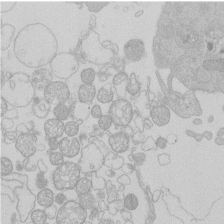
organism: Human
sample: Macrophage cells